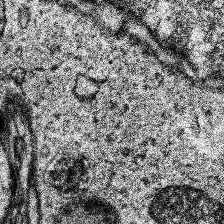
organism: Human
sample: Temporal Lobe